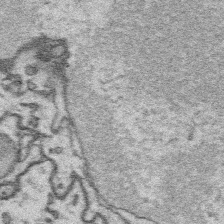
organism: Platynereis dumerilii